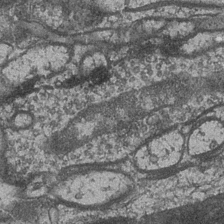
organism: Drosophila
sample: Optic medulla